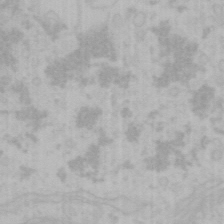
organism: Mouse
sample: Choroid plexus